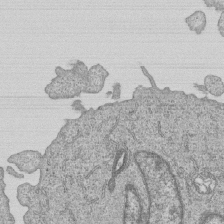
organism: Human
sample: MDA-MB-231 cells